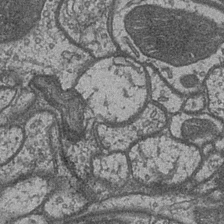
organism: Drosophila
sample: Optic medulla